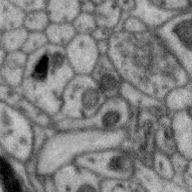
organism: Zebra finch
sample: Brain